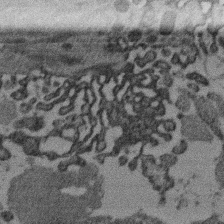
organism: Mouse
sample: Dividing mouse embryo 1 cell stage